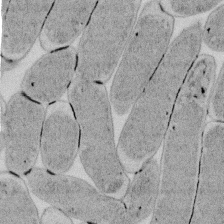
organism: E. coli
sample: Bacterial nucleoid